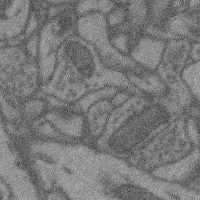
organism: Mouse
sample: Cerebral cortex